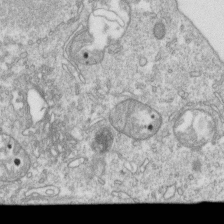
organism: Mouse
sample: Activated OT-1 CD8+ T cells